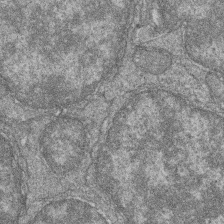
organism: Zebrafish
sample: Cilia; retinal pigment epithelium